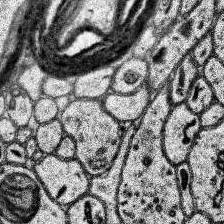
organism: Human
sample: Temporal Lobe